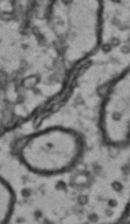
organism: Drosophila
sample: Brain